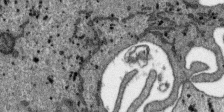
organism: Human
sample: Lung epithelial cells, uninfected (mock) control